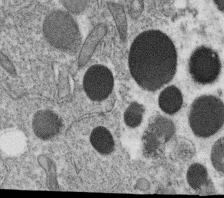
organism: C. elegans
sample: C. elegans oocyte; sperm cells